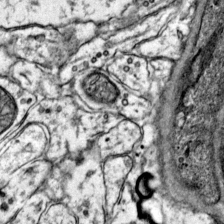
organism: Mouse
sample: Primary visual cortex